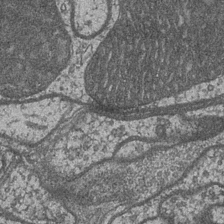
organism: Drosophila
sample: Optic medulla